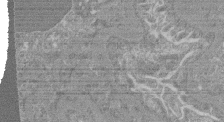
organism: Mouse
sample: Glomerulus